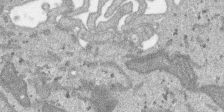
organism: Human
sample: Lung epithelial cells infected with SARS-CoV-2